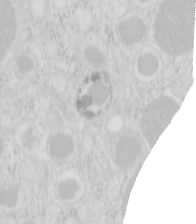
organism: Mouse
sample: Pancreas